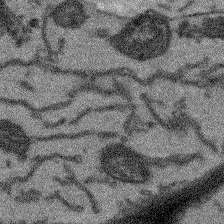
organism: Arabidopsis thaliana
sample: Root tip